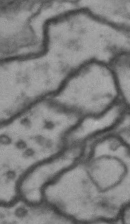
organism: Drosophila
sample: Brain